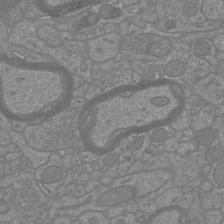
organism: Mouse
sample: Cortical neurons